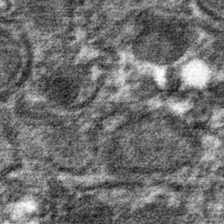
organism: Mouse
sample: Mouse hepatocytes